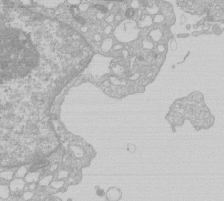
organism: Human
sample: Macrophage cells